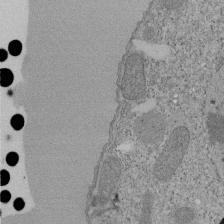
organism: Tetrahymena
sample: Cilia in tetrahymena